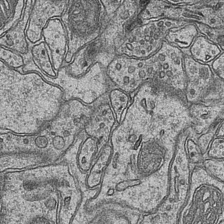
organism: Mouse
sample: CA1 Hippocampus